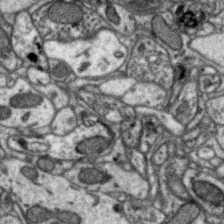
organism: Zebra finch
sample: Brain